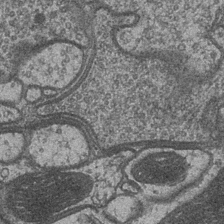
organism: Drosophila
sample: Optic medulla